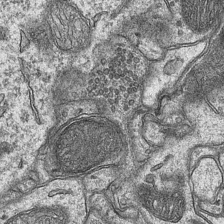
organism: Mouse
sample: CA1 Hippocampus